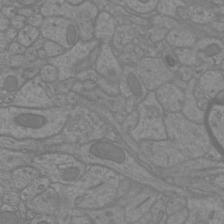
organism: Mouse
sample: Cortical neurons